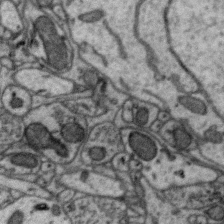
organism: Zebra finch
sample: Brain